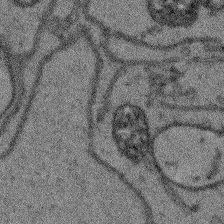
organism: Arabidopsis thaliana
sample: Root tip